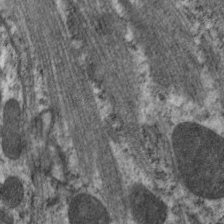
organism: C. elegans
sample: Pharynx